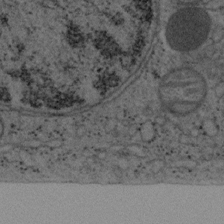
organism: Human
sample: HeLa cells